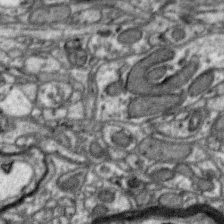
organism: Zebra finch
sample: Brain